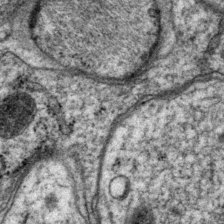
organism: P. pacificus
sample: Pharynx